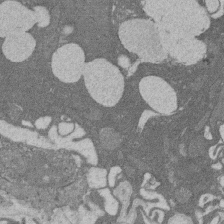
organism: Rat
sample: Salivary granule